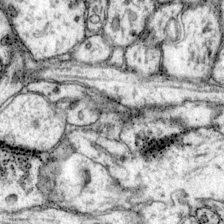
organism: Mouse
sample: Primary visual cortex